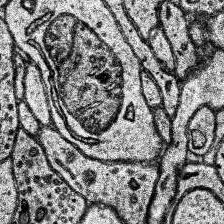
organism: Human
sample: Temporal Lobe